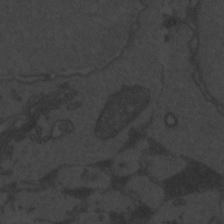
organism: Zebrafish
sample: Macrophage infected with Toxoplasma gondii